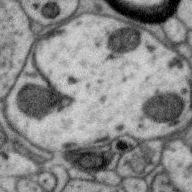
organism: Zebra finch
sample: Brain